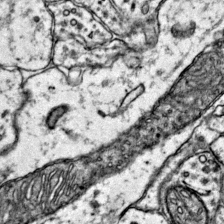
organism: Mouse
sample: Primary visual cortex